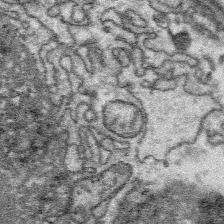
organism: Platynereis dumerilii